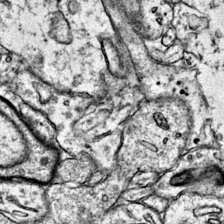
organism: Mouse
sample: Primary visual cortex